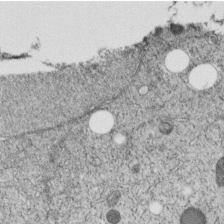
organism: C. elegans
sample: C. elegans embryo early stage